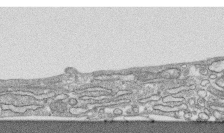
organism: Human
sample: CRL-1474